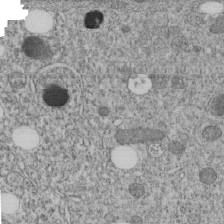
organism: C. elegans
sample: C. elegans embryo early stage